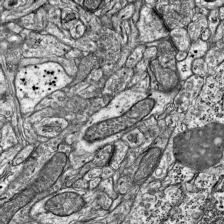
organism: Mouse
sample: Visual Cortex